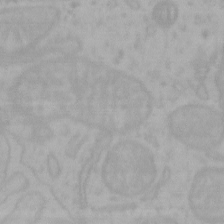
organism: Mouse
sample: Choroid plexus